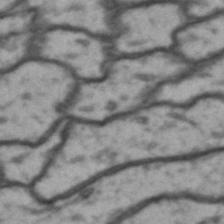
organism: Drosophila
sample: Brain